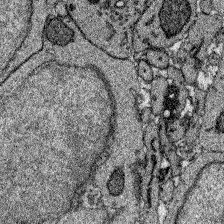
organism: Zebrafish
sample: Larval olfactory bulb